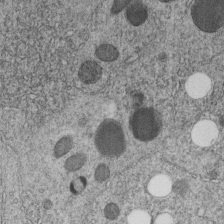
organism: C. elegans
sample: C. elegans embryo early stage